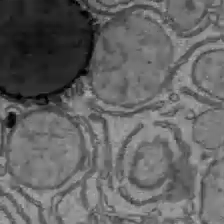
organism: C57BL Mouse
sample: Liver